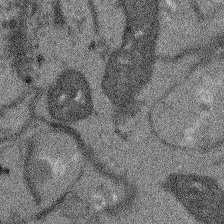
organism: Arabidopsis thaliana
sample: Root tip